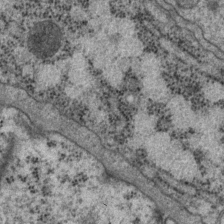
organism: P. pacificus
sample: Pharynx